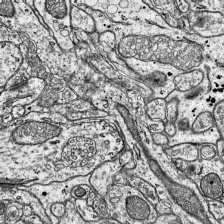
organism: Mouse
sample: Visual Cortex